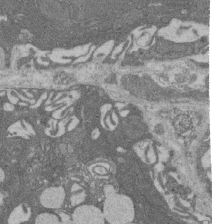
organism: Rat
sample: Salivary granule